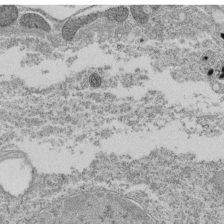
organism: Tetrahymena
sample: Cilia in tetrahymena